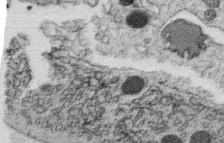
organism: C. elegans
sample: C. elegans oocyte; sperm cells